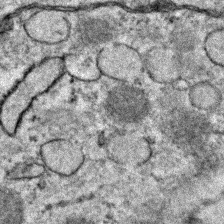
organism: Zebrafish